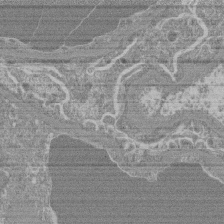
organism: Mouse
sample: Glomerulus